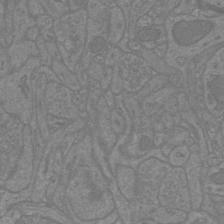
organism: Mouse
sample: Cortical neurons